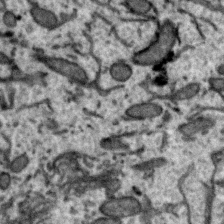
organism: Zebra finch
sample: Brain